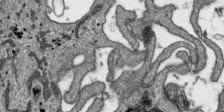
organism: Human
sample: Lung epithelial cells, uninfected (mock) control